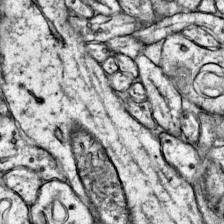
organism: Mouse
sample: Primary visual cortex